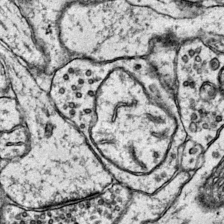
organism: Mouse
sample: Primary visual cortex